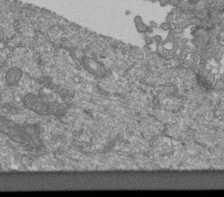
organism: Human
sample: Retinal organoid Rod and Cone cells